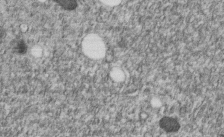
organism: C. elegans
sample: C. elegans embryo early stage